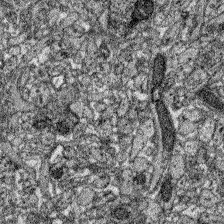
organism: Zebrafish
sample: Larval olfactory bulb